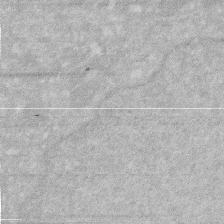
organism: Human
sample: HIV infected U937 cells